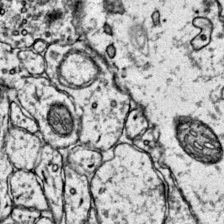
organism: Mouse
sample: Primary visual cortex